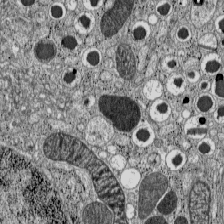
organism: C57BL Mouse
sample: Pancreatic islet